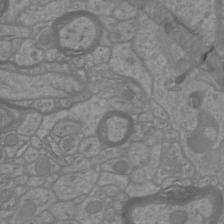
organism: Mouse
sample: Cortical neurons